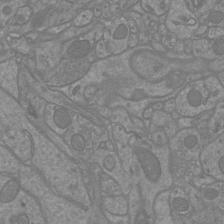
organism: Mouse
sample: Cortical neurons